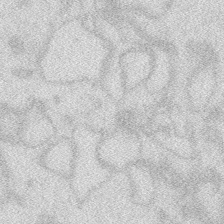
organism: Zebrafish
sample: Macrophage